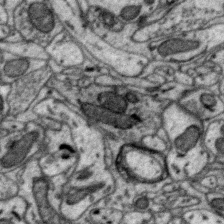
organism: Zebra finch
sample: Brain